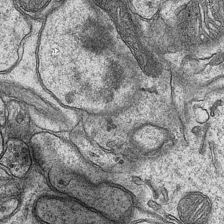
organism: Mouse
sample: CA1 Hippocampus